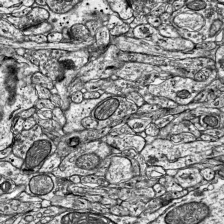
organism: Mouse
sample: Visual Cortex